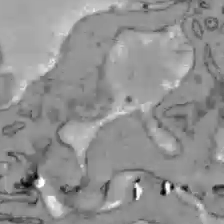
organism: C57BL Mouse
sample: Liver